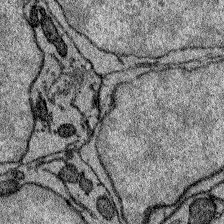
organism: Zebrafish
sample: Larval olfactory bulb